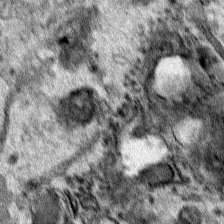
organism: Human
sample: Mitochondria in HCT116 cells